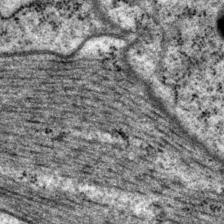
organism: P. pacificus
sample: Pharynx